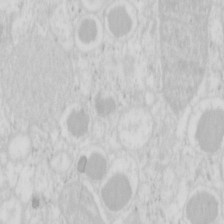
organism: Mouse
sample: Pancreas